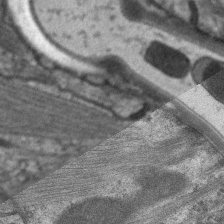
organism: C. elegans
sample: Pharynx